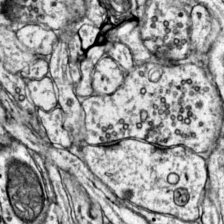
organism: Mouse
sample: Primary visual cortex